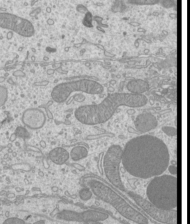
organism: Mouse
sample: Cilia; mouse epididymis